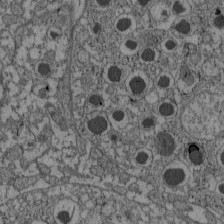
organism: C57BL Mouse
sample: Pancreatic islet